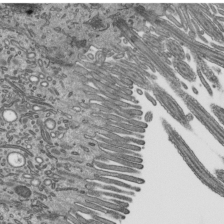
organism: Mouse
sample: Mouse epididymis efferent ductule cilia